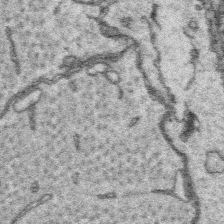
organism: Platynereis dumerilii